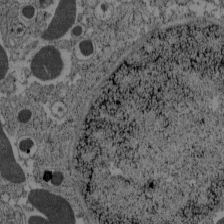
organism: C57BL Mouse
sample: Pancreatic islet